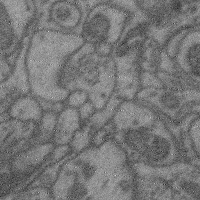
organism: Mouse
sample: Cerebral cortex